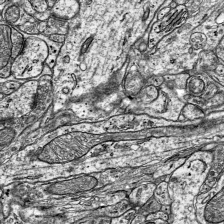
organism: Mouse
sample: Visual Cortex